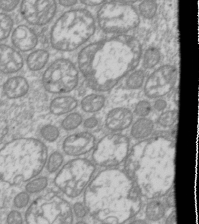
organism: Drosophila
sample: Cell division; meiosis; drosophila spermatocytes